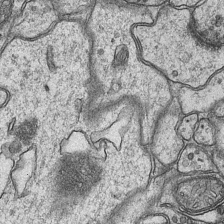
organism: Mouse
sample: CA1 Hippocampus